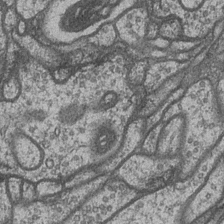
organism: Drosophila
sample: Optic medulla